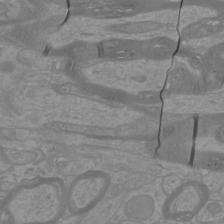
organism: Mouse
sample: Cortical neurons